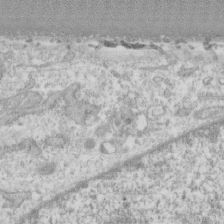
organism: Human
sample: CRL-1474